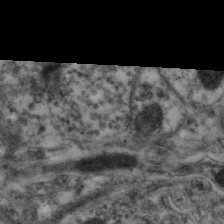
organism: Mouse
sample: Neocortex